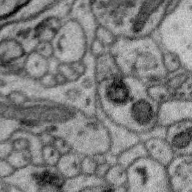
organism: Zebra finch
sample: Brain